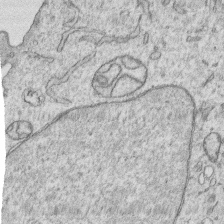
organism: Human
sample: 1205lu cells